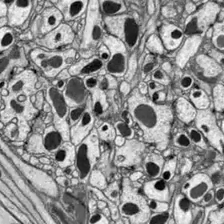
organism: Drosophila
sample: Optic lobe